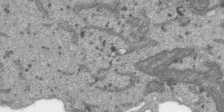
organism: Human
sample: Lung epithelial cells infected with SARS-CoV-2